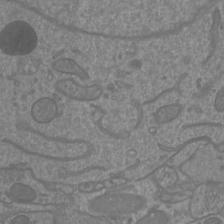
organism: Mouse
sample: Cortical neurons